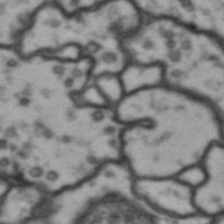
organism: Drosophila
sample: Brain